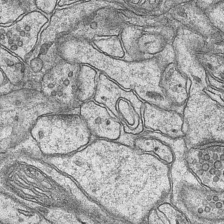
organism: Mouse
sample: CA1 Hippocampus